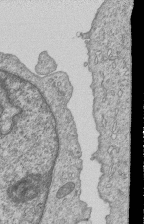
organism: Human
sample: MDA-MB-231 cells